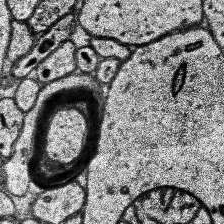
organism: Human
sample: Temporal Lobe